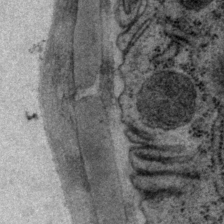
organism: P. pacificus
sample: Pharynx